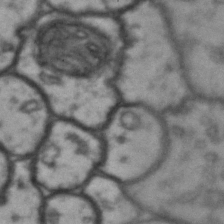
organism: Drosophila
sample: Brain